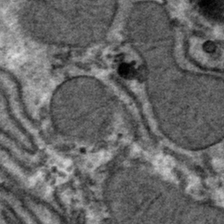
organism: Mouse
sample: Mouse hepatocytes